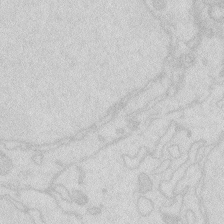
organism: Zebrafish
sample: Macrophage